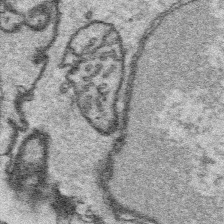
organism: Platynereis dumerilii